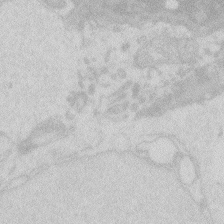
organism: Zebrafish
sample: Macrophage